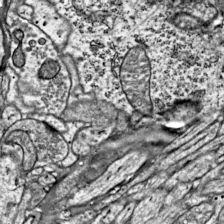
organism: Mouse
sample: Visual Cortex